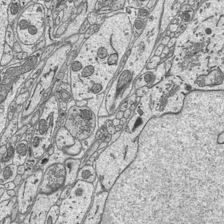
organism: Mouse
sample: Suprachiasmatic nucleus